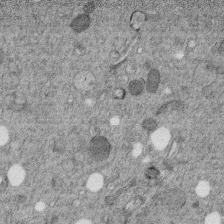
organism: C. elegans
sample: C. elegans embryo early stage